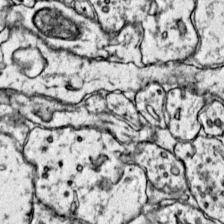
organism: Mouse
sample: Primary visual cortex